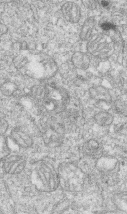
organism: Human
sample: HeLa cell HIV synapse